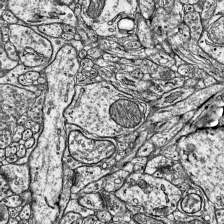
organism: Mouse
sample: Visual Cortex